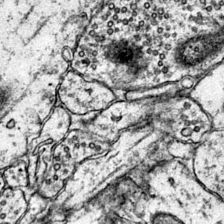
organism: Mouse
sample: Primary visual cortex